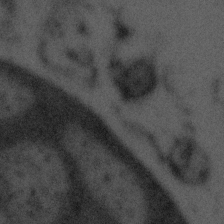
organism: Tuwongella immobilis